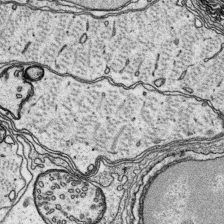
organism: Platynereis dumerilii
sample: Parapodia